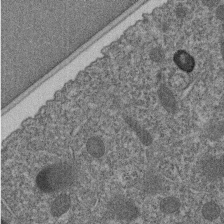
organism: C. elegans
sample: C. elegans embryo early stage